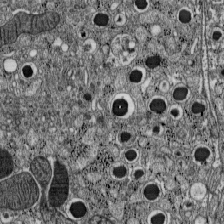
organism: C57BL Mouse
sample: Pancreatic islet